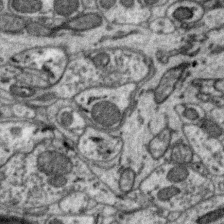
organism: Zebra finch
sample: Brain